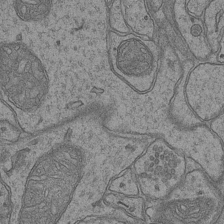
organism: Mouse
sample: CA1 Hippocampus